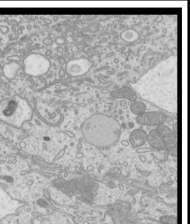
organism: Mouse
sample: Cilia; mouse epididymis